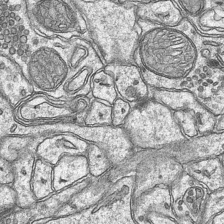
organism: Mouse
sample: CA1 Hippocampus